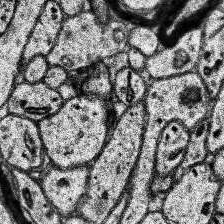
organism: Human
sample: Temporal Lobe